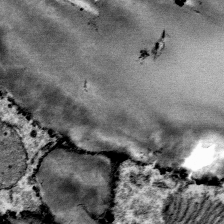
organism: Mouse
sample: Mouse Salivary gland